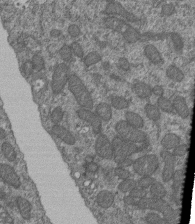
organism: Human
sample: Retinal organoid Rod and Cone cells